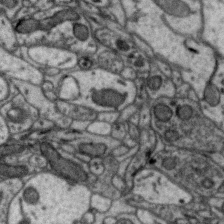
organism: Zebra finch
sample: Brain